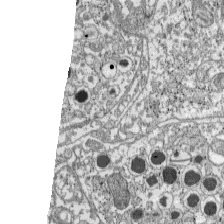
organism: C57BL Mouse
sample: Pancreatic islet